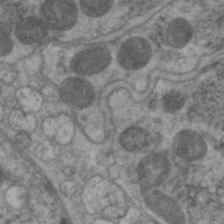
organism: C. elegans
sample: Pharynx